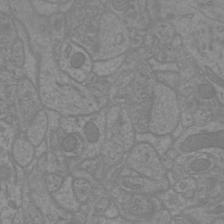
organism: Mouse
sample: Cortical neurons